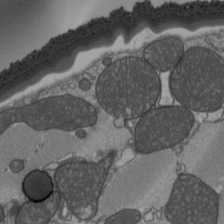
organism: C57BL Mouse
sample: Heart